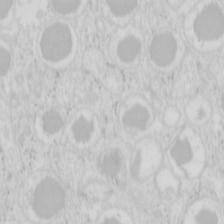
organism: Mouse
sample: Pancreas